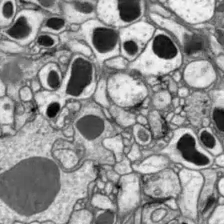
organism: Drosophila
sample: Optic lobe